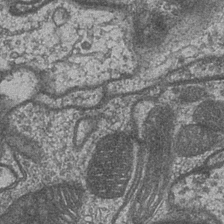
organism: Drosophila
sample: Optic medulla